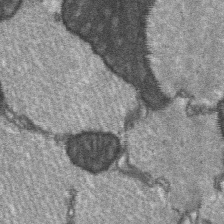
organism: C57BL Mouse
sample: Soleus